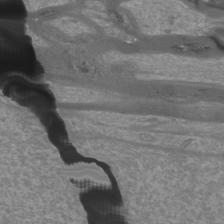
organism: Mouse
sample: Cortical neurons